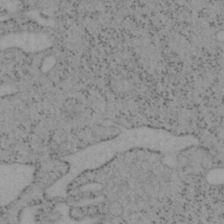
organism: Mouse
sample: OT-I killer T cells with ID8 ovarian cancer cells